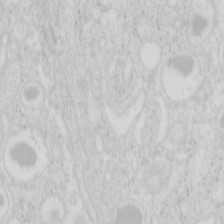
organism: Mouse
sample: Pancreas